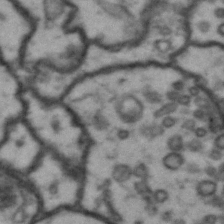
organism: Drosophila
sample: Brain